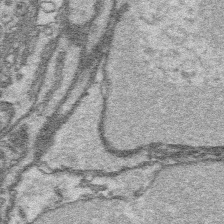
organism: Platynereis dumerilii